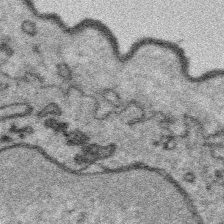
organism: Platynereis dumerilii